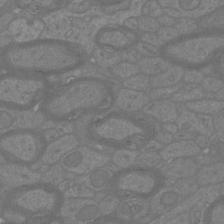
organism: Mouse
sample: Cortical neurons